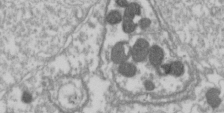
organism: Drosophila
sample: Cell division; meiosis; drosophila spermatocytes